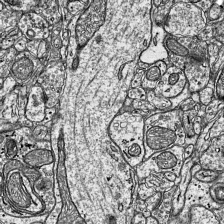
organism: Mouse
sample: Visual Cortex